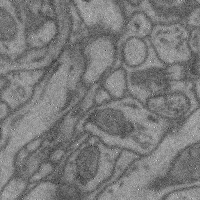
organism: Mouse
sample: Cerebral cortex